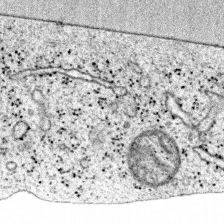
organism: Human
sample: HeLa cells